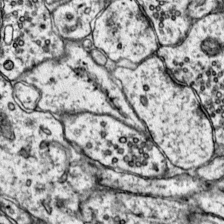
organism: Mouse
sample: Primary visual cortex